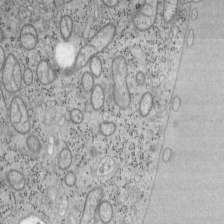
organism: Mouse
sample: OT-I killer T cells with ID8 ovarian cancer cells